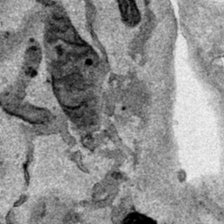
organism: Human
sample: Mitochondria in HCT116 cells